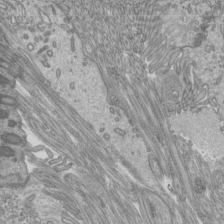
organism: Mouse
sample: Cilia; mouse epididymis